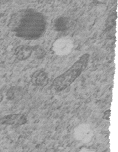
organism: C. elegans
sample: C. elegans embryo early stage